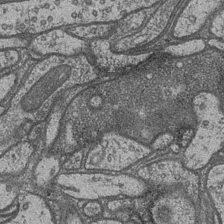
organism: Drosophila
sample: Optic medulla